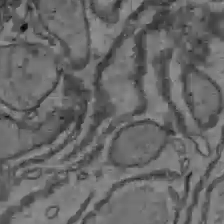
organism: C57BL Mouse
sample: Liver